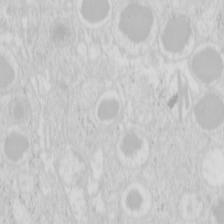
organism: Mouse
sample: Pancreas